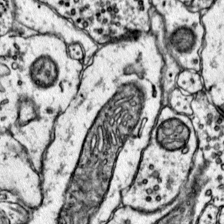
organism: Mouse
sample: Primary visual cortex